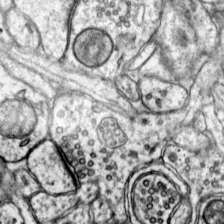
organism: Mouse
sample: Primary visual cortex